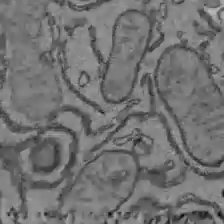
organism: C57BL Mouse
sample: Liver